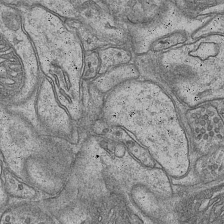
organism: Mouse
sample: CA1 Hippocampus